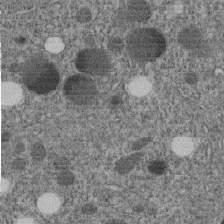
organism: C. elegans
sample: C. elegans embryo early stage